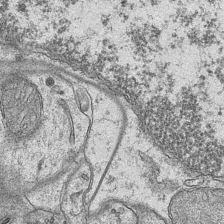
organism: Mouse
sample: CA1 Hippocampus